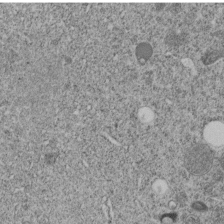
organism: C. elegans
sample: C. elegans embryo early stage